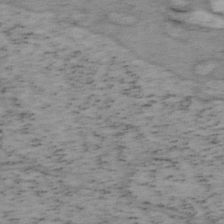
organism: Mouse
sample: OT-I killer T cells with ID8 ovarian cancer cells